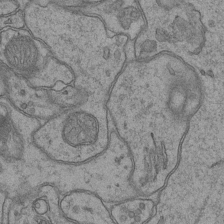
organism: Mouse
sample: CA1 Hippocampus